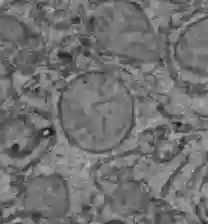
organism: C57BL Mouse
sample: Liver